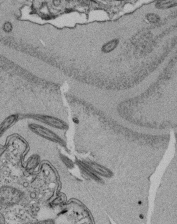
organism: Tetrahymena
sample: Cilia in tetrahymena